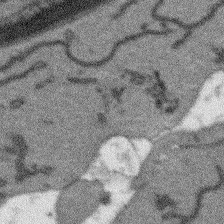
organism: Arabidopsis thaliana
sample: Root tip